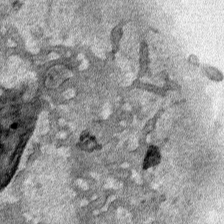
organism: Human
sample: Mitochondria in HCT116 cells